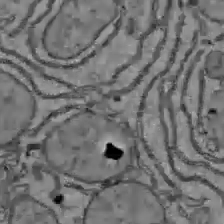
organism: C57BL Mouse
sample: Liver